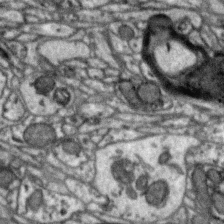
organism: Zebra finch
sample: Brain